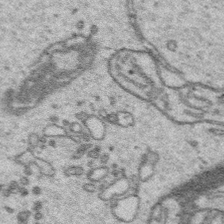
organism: Platynereis dumerilii